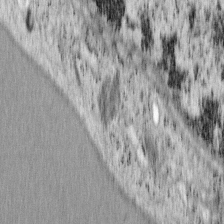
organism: Human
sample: HeLa cells